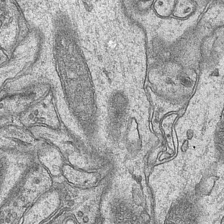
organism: Mouse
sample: CA1 Hippocampus